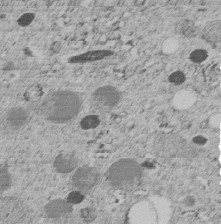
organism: C. elegans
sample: C. elegans embryo early stage